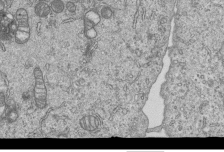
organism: Human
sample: MDA-MB-231 cells